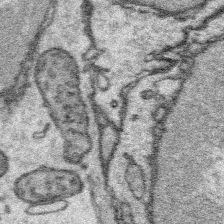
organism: Platynereis dumerilii